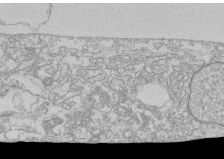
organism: Human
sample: CRL-1474